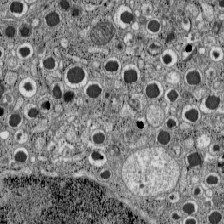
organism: C57BL Mouse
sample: Pancreatic islet